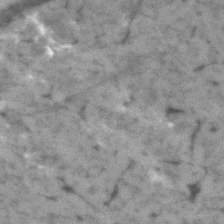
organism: Human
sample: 1205lu cells